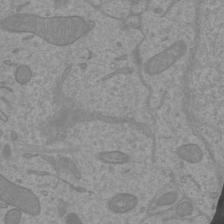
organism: Mouse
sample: Cortical neurons